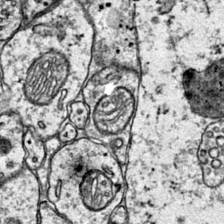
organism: Mouse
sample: Primary visual cortex